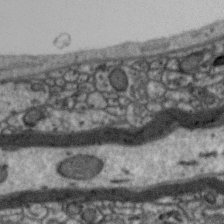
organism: Zebra finch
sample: Brain